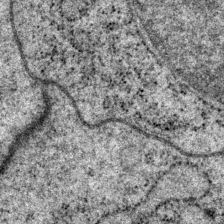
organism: P. pacificus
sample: Pharynx